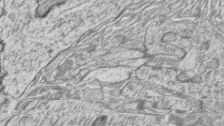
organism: Zebrafish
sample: synaptic ribbons in rod cells and cone cells